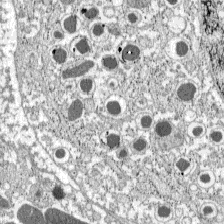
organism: C57BL Mouse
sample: Pancreatic islet